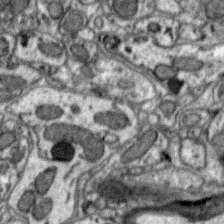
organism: Zebra finch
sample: Brain